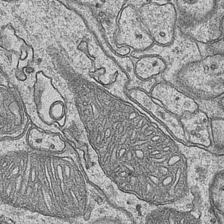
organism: Mouse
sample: CA1 Hippocampus